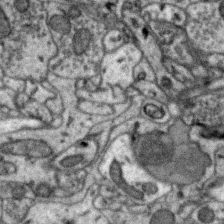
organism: Zebra finch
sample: Brain